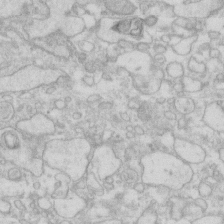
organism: Human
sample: Fibroblast cells